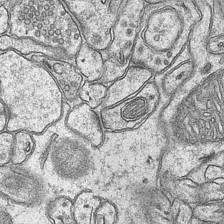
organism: Mouse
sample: CA1 Hippocampus